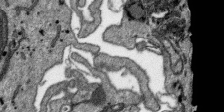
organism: Human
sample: Lung epithelial cells, uninfected (mock) control